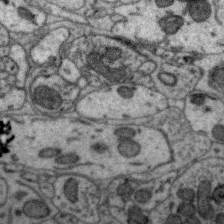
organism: Zebra finch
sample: Brain